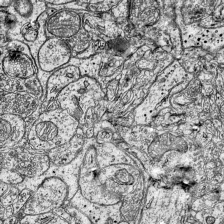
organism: Mouse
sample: Visual Cortex